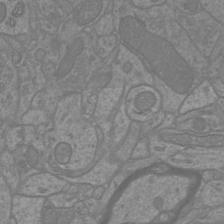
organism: Mouse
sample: Cortical neurons